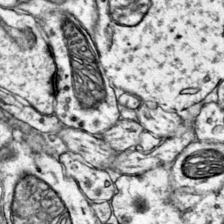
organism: Mouse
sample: Primary visual cortex